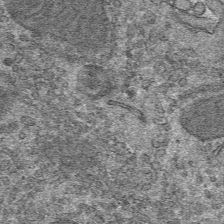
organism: Mouse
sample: Mouse hepatocytes